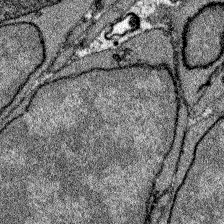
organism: Zebrafish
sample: Larval olfactory bulb